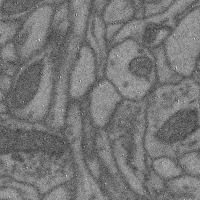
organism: Mouse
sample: Cerebral cortex